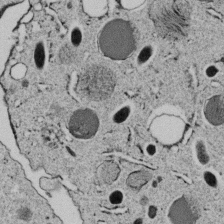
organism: C. elegans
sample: C. elegans embryo early stage